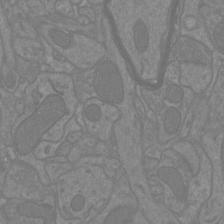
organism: Mouse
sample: Cortical neurons